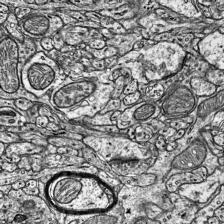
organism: Mouse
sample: Visual Cortex